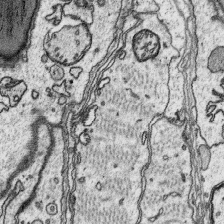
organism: Platynereis dumerilii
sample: Parapodia